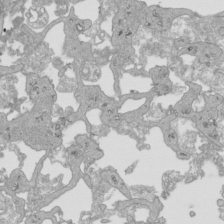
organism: Human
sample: Mitochondria in HCT116 cells